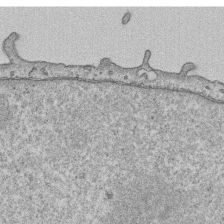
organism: Human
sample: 1205lu cells